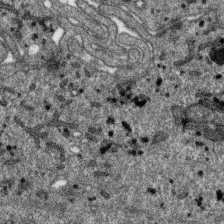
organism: Human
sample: Lung epithelial cells infected with SARS-CoV-2